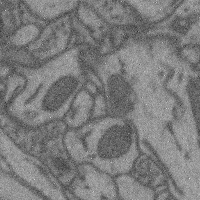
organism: Mouse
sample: Cerebral cortex